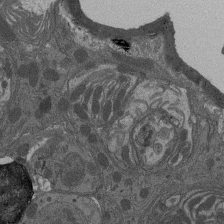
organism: Drosophila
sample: Antenna